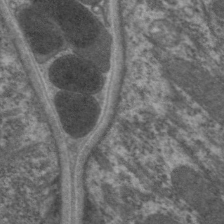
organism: C. elegans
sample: Pharynx